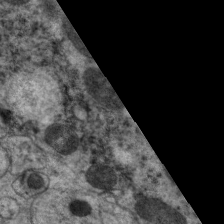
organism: C. elegans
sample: Pharynx